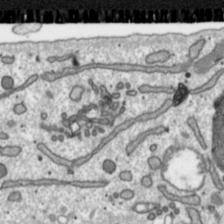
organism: Toxoplasma gondii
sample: Parasites in a vacuole inside a host cell